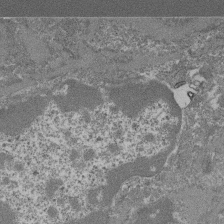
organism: Mouse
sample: Glomerulus